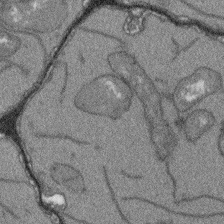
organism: Arabidopsis thaliana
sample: Root tip